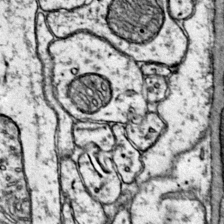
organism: Mouse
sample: Primary visual cortex